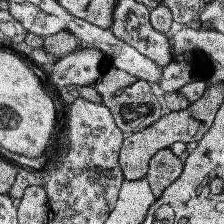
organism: Human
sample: Temporal Lobe